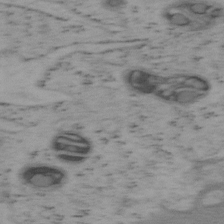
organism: Mouse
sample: OT-I killer T cells with ID8 ovarian cancer cells